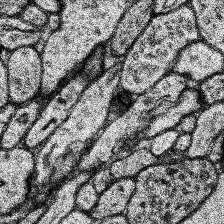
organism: Human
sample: Temporal Lobe